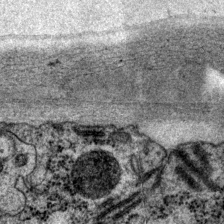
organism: P. pacificus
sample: Pharynx